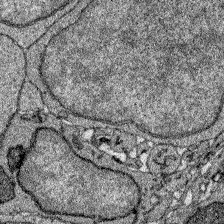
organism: Zebrafish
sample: Larval olfactory bulb